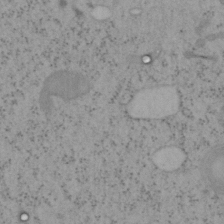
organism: Mouse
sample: OT-I killer T cells with ID8 ovarian cancer cells